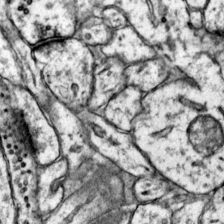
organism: Mouse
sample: Primary visual cortex